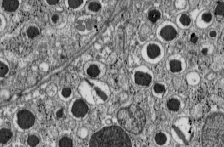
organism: C57BL Mouse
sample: Pancreatic islet